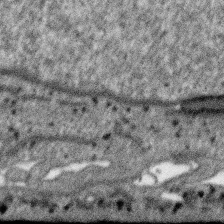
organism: Human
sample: Lung epithelial cells infected with SARS-CoV-2